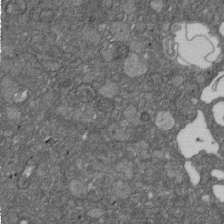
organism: Drosophila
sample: Nephrocyte